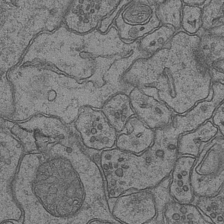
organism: Mouse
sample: CA1 Hippocampus